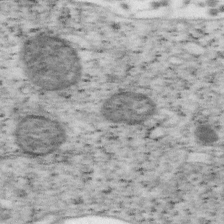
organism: Mouse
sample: OT-I killer T cells with ID8 ovarian cancer cells